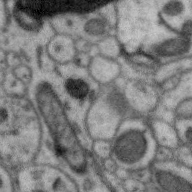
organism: Zebra finch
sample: Brain